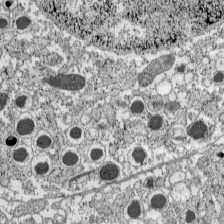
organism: C57BL Mouse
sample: Pancreatic islet